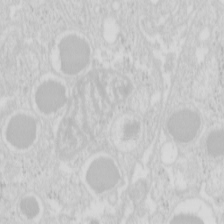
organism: Mouse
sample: Pancreas